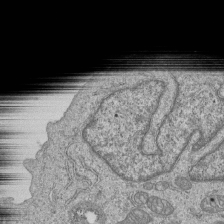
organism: Human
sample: MDA-MB-231 cells